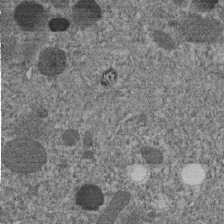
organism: C. elegans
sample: C. elegans embryo early stage